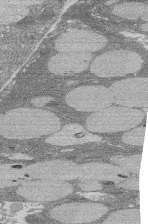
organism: Rat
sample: Salivary granule